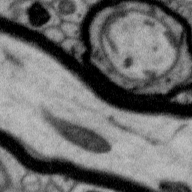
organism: Zebra finch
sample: Brain